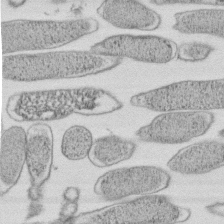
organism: E. coli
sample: Bacterial nucleoid